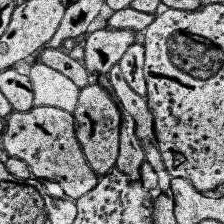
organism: Human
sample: Temporal Lobe